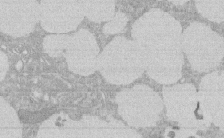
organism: Rat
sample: Salivary granule